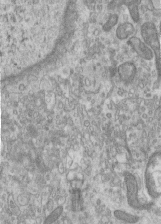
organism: Human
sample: Centriole in RPE cells